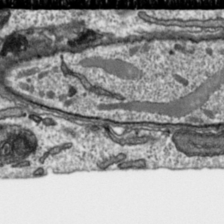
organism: Toxoplasma gondii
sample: Parasites in a vacuole inside a host cell